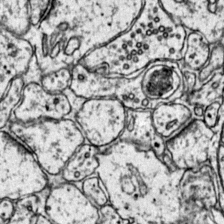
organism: Mouse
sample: Primary visual cortex